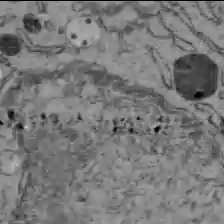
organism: C57BL Mouse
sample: Liver